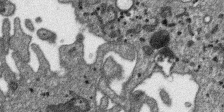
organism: Human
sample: Lung epithelial cells infected with SARS-CoV-2